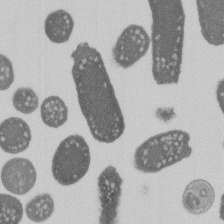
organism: E. coli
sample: Bacterial nucleoid